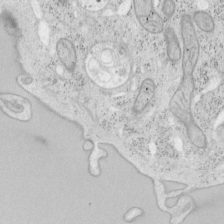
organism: Mouse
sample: OT-I killer T cells with ID8 ovarian cancer cells